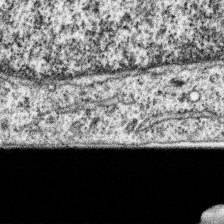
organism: Human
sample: HeLa cells